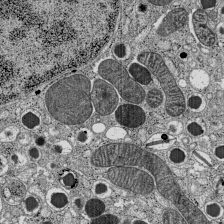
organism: C57BL Mouse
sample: Pancreatic islet